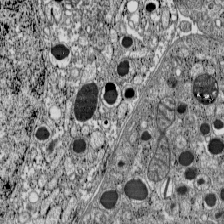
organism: C57BL Mouse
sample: Pancreatic islet